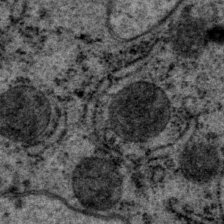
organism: P. pacificus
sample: Pharynx